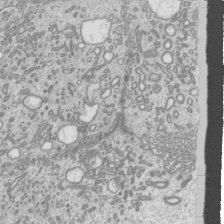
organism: Mouse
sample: Cilia; mouse epididymis